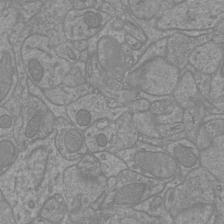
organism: Mouse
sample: Cortical neurons